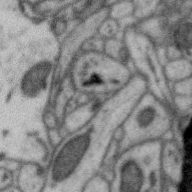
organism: Zebra finch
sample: Brain